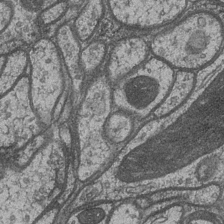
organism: Drosophila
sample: Optic medulla